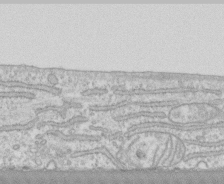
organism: Human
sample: CRL-1474